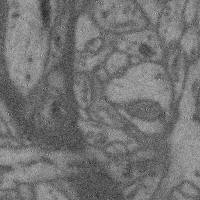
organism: Mouse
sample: Cerebral cortex